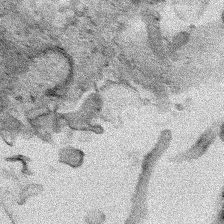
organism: Human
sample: Mitochondria in HCT116 cells